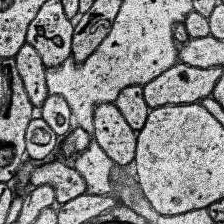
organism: Human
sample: Temporal Lobe